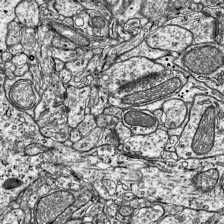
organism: Mouse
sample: Visual Cortex